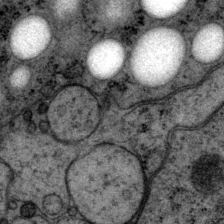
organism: P. pacificus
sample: Pharynx